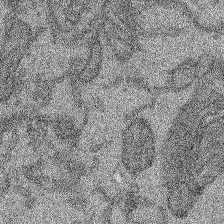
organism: Human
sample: HeLa cells